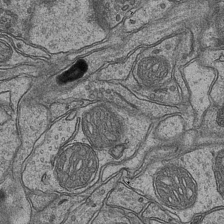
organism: Mouse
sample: CA1 Hippocampus